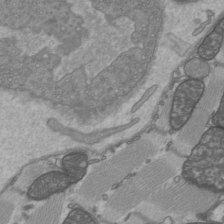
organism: C57BL Mouse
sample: Heart